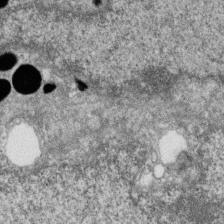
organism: Zebrafish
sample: Cilia; retinal pigment epithelium